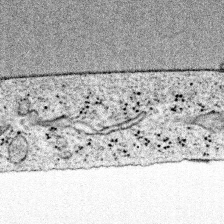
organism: Human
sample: HeLa cells